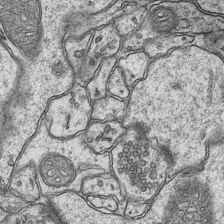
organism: Mouse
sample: CA1 Hippocampus